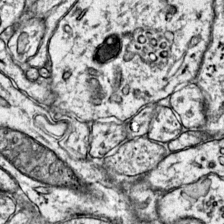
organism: Mouse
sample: Primary visual cortex